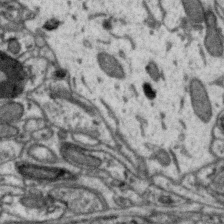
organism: Zebra finch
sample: Brain